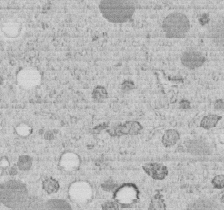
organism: C. elegans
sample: C. elegans embryo early stage